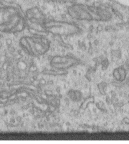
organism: Human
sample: Centriole in RPE cells